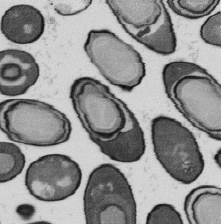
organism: B. subtilis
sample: Bacterial spore